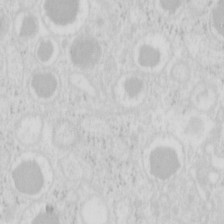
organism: Mouse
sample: Pancreas